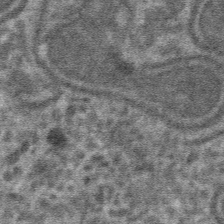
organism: Mouse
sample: Mouse hepatocytes